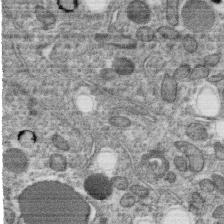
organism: C. elegans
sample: C. elegans oocyte; sperm cells